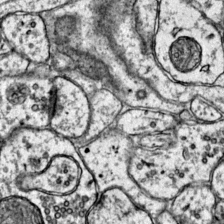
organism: Mouse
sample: Primary visual cortex